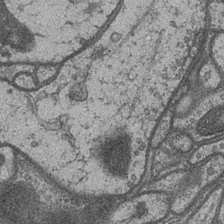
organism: Drosophila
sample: Optic medulla